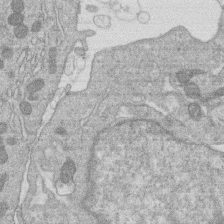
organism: Human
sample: Macrophage cells